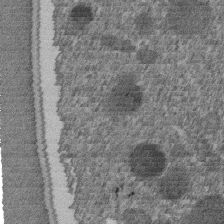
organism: C. elegans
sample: C. elegans embryo early stage